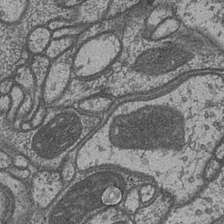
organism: Drosophila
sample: Optic medulla